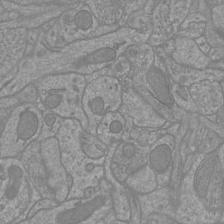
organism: Mouse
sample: Cortical neurons